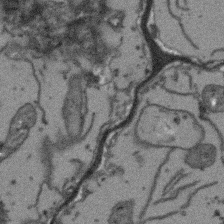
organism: Arabidopsis thaliana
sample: Root tip